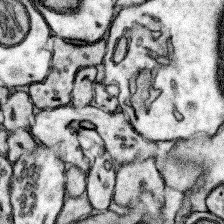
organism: Mouse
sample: Somatosensory cortex neuropil